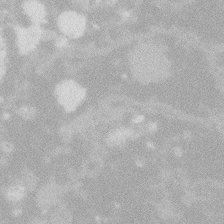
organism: Zebrafish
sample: Macrophage